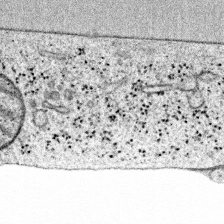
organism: Human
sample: HeLa cells